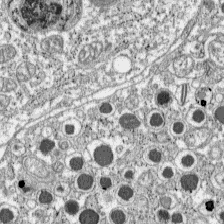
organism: C57BL Mouse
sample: Pancreatic islet